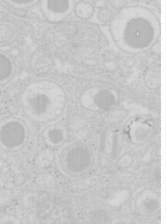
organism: Mouse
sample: Pancreas